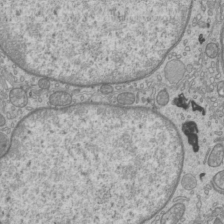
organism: Mouse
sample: Cilia; mouse epididymis